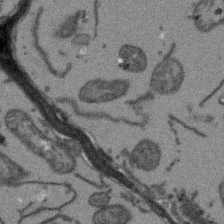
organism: Arabidopsis thaliana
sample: Root tip